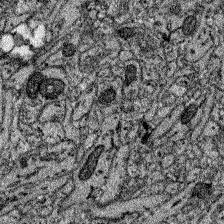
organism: Zebrafish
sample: Larval olfactory bulb